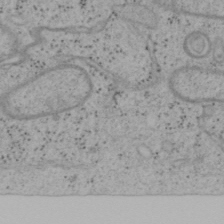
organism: Human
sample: HeLa cells